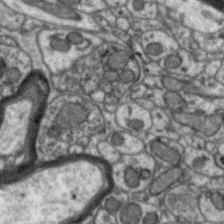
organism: Zebra finch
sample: Brain